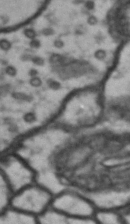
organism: Drosophila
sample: Brain